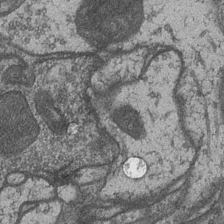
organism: Drosophila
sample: Optic medulla